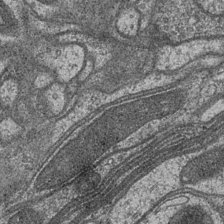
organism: Drosophila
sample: Optic medulla